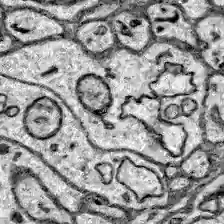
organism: Zebrafish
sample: Brain